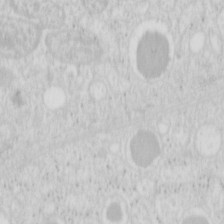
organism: Mouse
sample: Pancreas